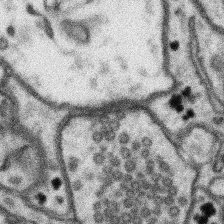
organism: Mouse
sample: Somatosensory cortex neuropil